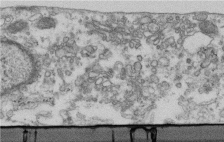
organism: Human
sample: Centriole in fibroblast cells